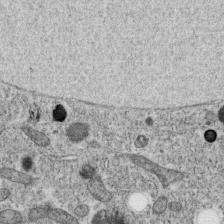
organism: C. elegans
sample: C. elegans oocyte; sperm cells